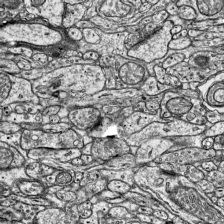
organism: Mouse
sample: Visual Cortex